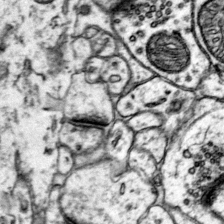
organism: Mouse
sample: Primary visual cortex